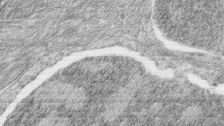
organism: Zebrafish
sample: synaptic ribbons in rod cells and cone cells